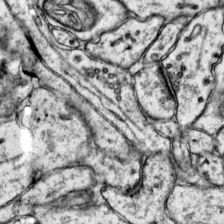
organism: Mouse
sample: Primary visual cortex